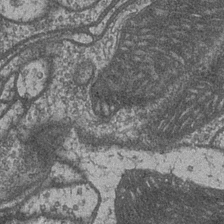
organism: Drosophila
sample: Optic medulla